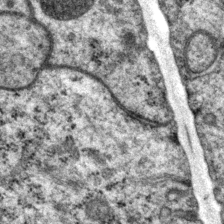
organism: P. pacificus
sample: Pharynx